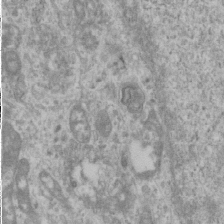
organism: Human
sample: Cilia; basal body in RPE cells